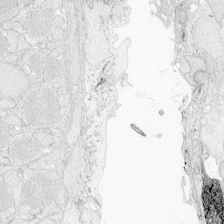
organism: Zebrafish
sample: Whole-Brain